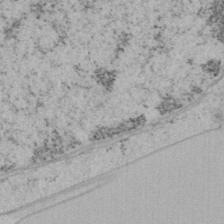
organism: Human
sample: HeLa cells